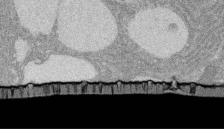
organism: Rat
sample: Salivary granule